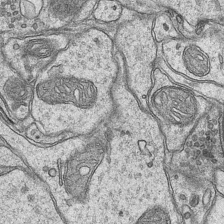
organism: Mouse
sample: CA1 Hippocampus